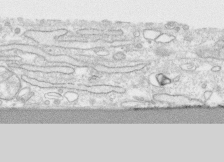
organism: Human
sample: CRL-1474